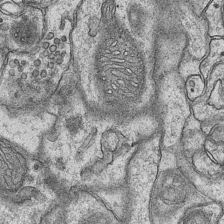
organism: Mouse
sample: CA1 Hippocampus